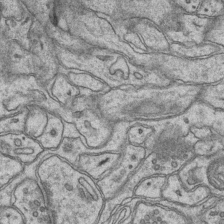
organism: Mouse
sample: CA1 Hippocampus